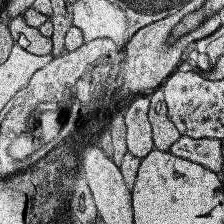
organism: Human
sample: Temporal Lobe